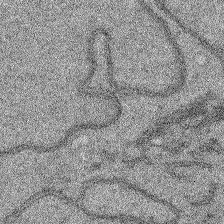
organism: Human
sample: HeLa cells